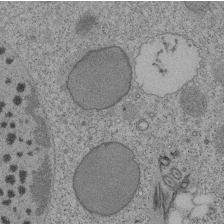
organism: Tetrahymena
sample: Cilia in tetrahymena